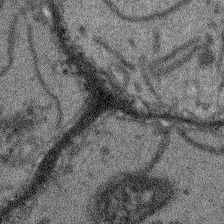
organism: Arabidopsis thaliana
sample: Root tip